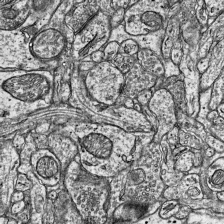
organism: Mouse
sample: Visual Cortex